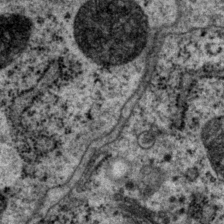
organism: P. pacificus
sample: Pharynx